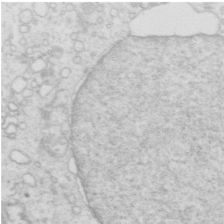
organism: Mouse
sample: Multiciliated cells